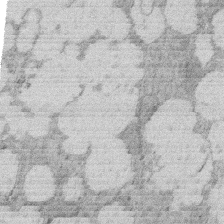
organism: Rat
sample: Salivary granule